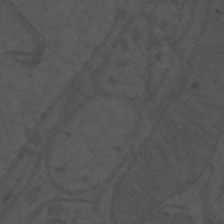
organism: Mouse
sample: Suprachiasmatic nucleus